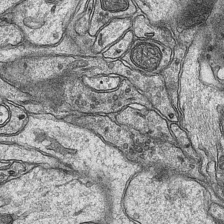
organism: Mouse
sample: CA1 Hippocampus